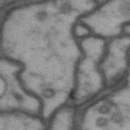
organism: Drosophila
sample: Brain